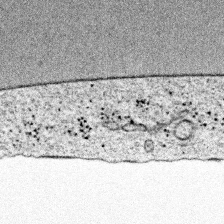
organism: Human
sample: HeLa cells